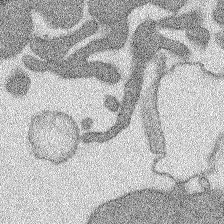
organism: Human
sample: HeLa cells